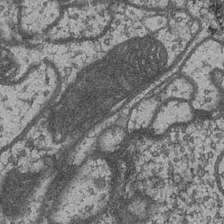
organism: Drosophila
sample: Optic medulla